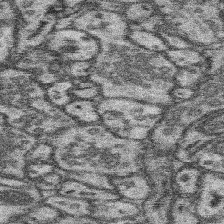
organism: Mouse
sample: Somatosensory cortex neuropil